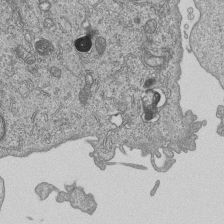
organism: Human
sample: MDA-MB-231 cells